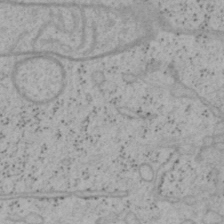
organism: Human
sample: HeLa cells